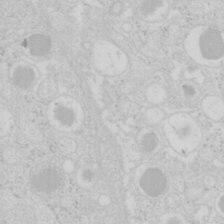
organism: Mouse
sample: Pancreas